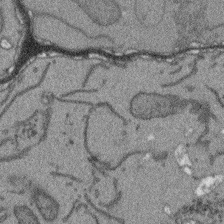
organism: Arabidopsis thaliana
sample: Root tip